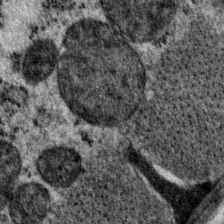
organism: P. pacificus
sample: Pharynx